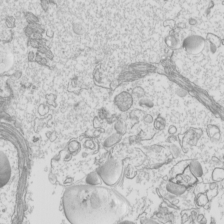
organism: Mouse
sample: Cilia; mouse epididymis